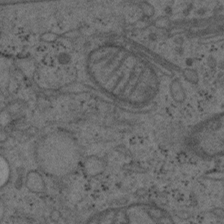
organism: Human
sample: HeLa cells